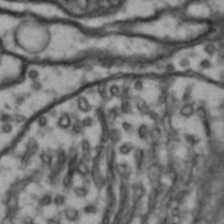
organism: Drosophila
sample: Brain